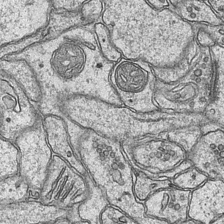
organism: Mouse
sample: CA1 Hippocampus